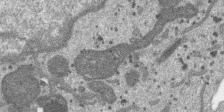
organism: Human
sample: Lung epithelial cells infected with SARS-CoV-2